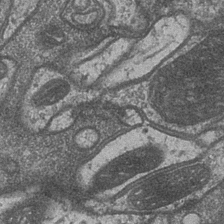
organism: Drosophila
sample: Optic medulla